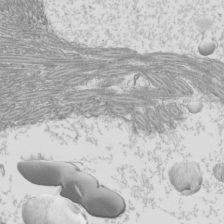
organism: Mouse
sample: Cilia; mouse epididymis